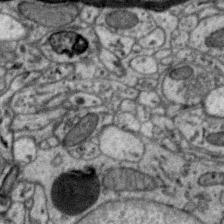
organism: Zebra finch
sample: Brain